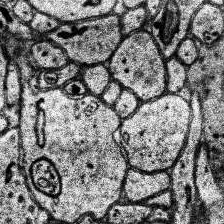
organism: Human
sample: Temporal Lobe